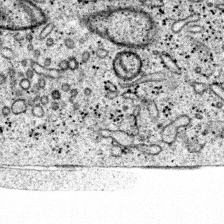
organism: Human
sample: HeLa cells